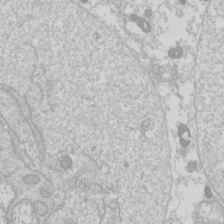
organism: Drosophila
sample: Cell division; meiosis; drosophila spermatocytes